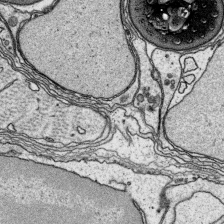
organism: Platynereis dumerilii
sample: Parapodia